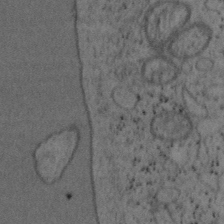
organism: Human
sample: HeLa cells